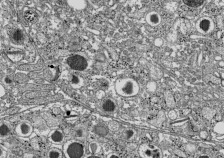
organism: C57BL Mouse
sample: Pancreatic islet